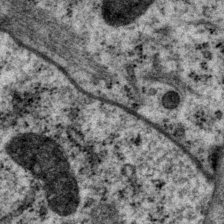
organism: P. pacificus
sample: Pharynx